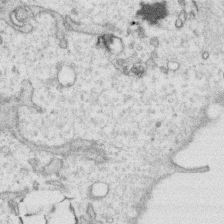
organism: Human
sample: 1205lu cells